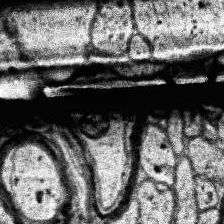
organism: Human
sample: Temporal Lobe